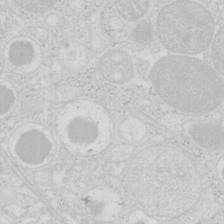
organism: Mouse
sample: Pancreas